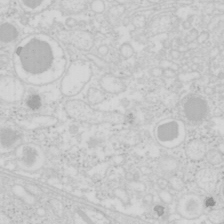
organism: Mouse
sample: Pancreas